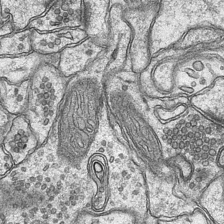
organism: Mouse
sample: CA1 Hippocampus